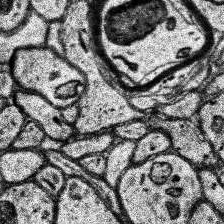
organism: Human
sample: Temporal Lobe